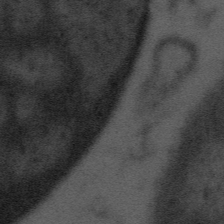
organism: Tuwongella immobilis